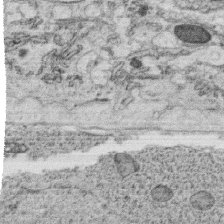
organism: C. elegans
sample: C. elegans oocyte; sperm cells